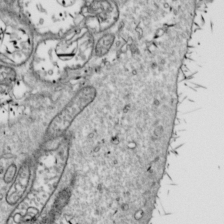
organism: Drosophila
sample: Cell division; meiosis; drosophila spermatocytes